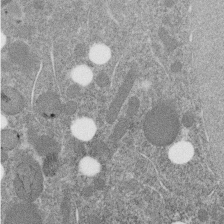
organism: C. elegans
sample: C. elegans embryo early stage